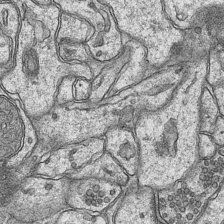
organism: Mouse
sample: CA1 Hippocampus